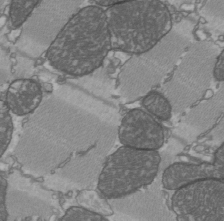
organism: C57BL Mouse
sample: Heart